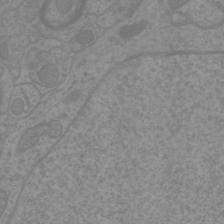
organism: Mouse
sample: Cortical neurons